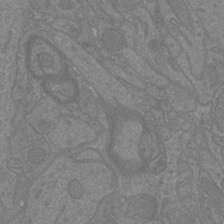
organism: Mouse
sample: Cortical neurons